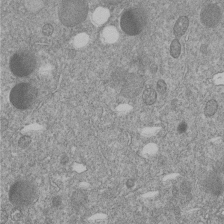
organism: C. elegans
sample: C. elegans embryo early stage